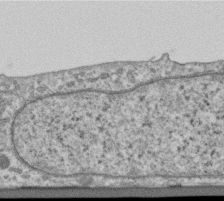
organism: Human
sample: Centriole in RPE cells